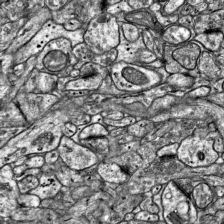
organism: Mouse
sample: Visual Cortex